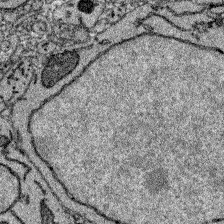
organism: Zebrafish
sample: Larval olfactory bulb